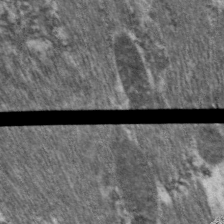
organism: C. elegans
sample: Pharynx